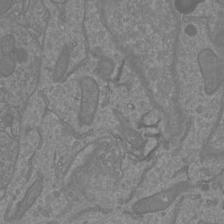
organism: Mouse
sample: Cortical neurons